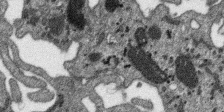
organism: Human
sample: Lung epithelial cells infected with SARS-CoV-2